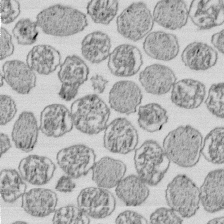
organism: E. coli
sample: Bacterial nucleoid